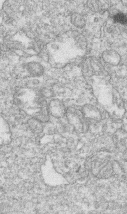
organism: Human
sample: HeLa cell HIV synapse